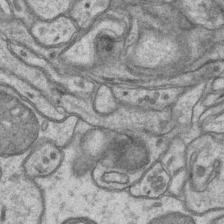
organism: Mouse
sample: CA1 Hippocampus